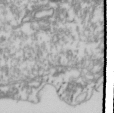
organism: Drosophila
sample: Cell division; meiosis; drosophila spermatocytes